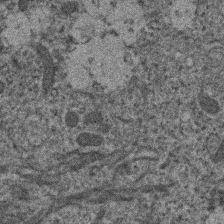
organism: Human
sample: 1205lu cells